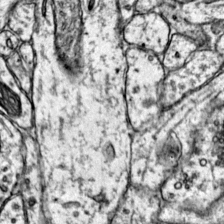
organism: Mouse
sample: Primary visual cortex